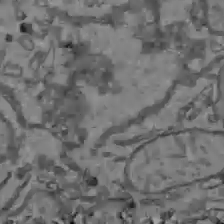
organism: C57BL Mouse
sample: Liver